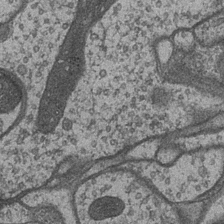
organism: Drosophila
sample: Optic medulla